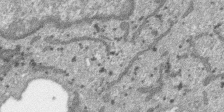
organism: Human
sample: Lung epithelial cells infected with SARS-CoV-2